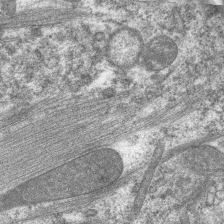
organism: C. elegans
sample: Pharynx